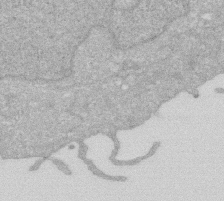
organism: Human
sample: HIV infected U937 cells